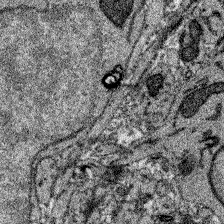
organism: Zebrafish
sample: Larval olfactory bulb